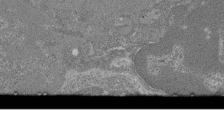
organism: Mouse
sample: Glomerulus